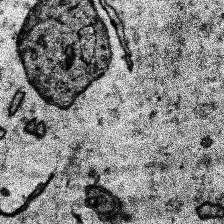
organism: Human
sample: Temporal Lobe